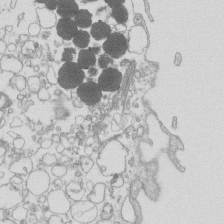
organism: Mouse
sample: Macrophages